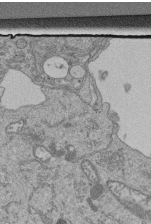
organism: Human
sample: Retinal organoid Rod and Cone cells